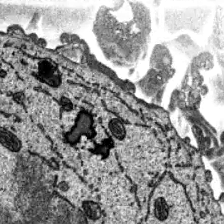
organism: Human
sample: HeLa cells